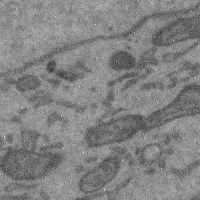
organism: Mouse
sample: Cerebral cortex